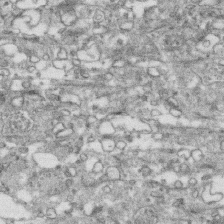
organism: Human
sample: CRL-1474